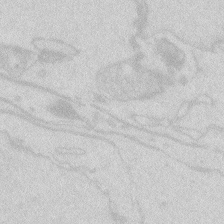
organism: Zebrafish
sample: Macrophage